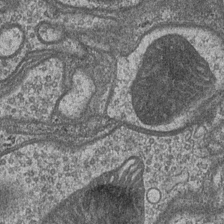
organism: Drosophila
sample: Optic medulla